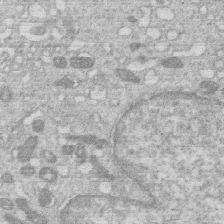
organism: Human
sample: Macrophage cells